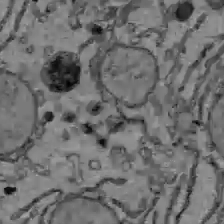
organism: C57BL Mouse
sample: Liver